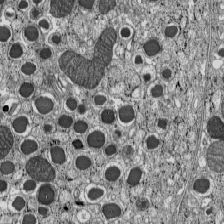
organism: C57BL Mouse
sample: Pancreatic islet